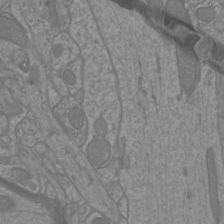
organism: Mouse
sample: Cortical neurons